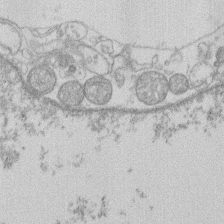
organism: Human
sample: Macrophage cells